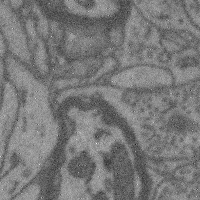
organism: Mouse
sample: Cerebral cortex